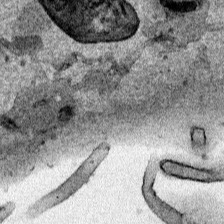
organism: Human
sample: Mitochondria in HCT116 cells